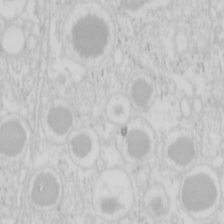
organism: Mouse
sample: Pancreas